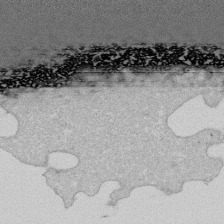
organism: Human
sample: Activated Jurkat CD4+ T cells